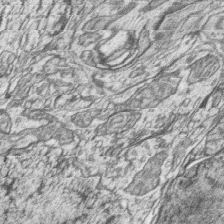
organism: Zebrafish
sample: synaptic ribbons in rod cells and cone cells